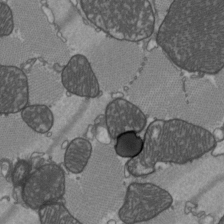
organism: C57BL Mouse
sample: Heart